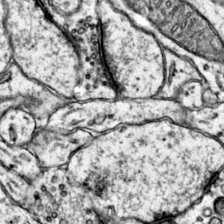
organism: Mouse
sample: Primary visual cortex